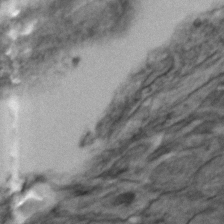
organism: Zebrafish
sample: Zebrafish embryo